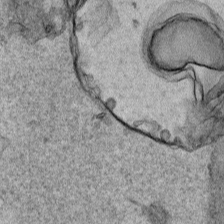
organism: Human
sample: Mitochondria in HCT116 cells